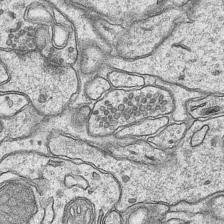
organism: Mouse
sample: CA1 Hippocampus